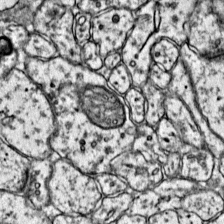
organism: Mouse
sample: Primary visual cortex